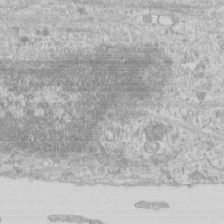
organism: Human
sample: CRL-1474